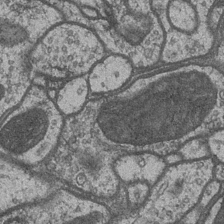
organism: Drosophila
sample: Optic medulla